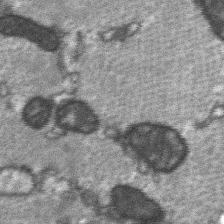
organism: C57BL Mouse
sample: Soleus